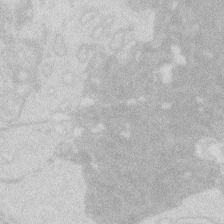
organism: Zebrafish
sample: Macrophage